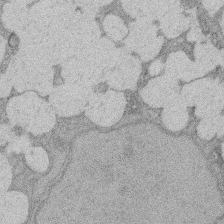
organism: Rat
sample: Salivary granule